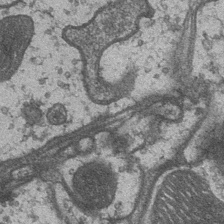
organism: Drosophila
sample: Optic medulla